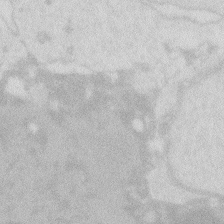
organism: Zebrafish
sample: Macrophage